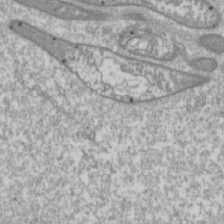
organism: Drosophila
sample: Cell division; meiosis; drosophila spermatocytes